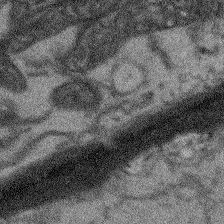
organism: Arabidopsis thaliana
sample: Root tip